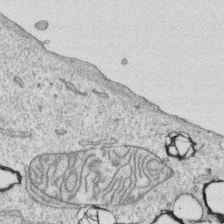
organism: Human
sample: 1205lu cells